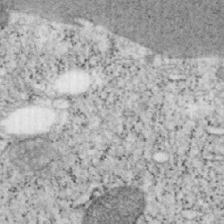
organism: Mouse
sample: OT-I killer T cells with ID8 ovarian cancer cells